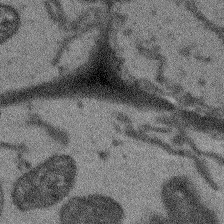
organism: Arabidopsis thaliana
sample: Root tip